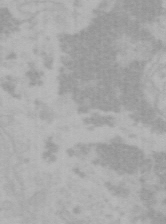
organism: Mouse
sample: Choroid plexus